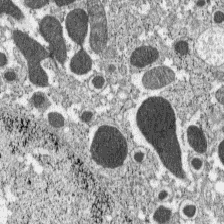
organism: C57BL Mouse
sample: Pancreatic islet